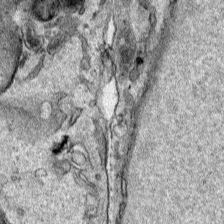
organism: Human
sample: Mitochondria in HCT116 cells